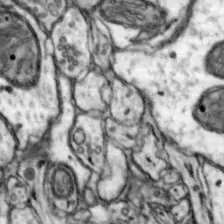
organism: Mouse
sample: Nucleus accumbens